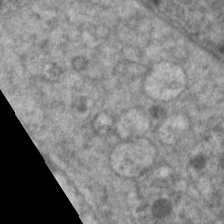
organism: C. elegans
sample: Pharynx